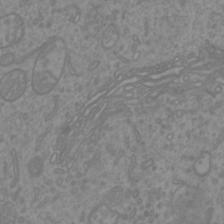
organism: Mouse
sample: Cortical neurons